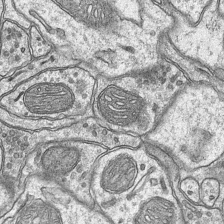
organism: Mouse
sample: CA1 Hippocampus